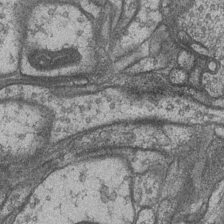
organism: Drosophila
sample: Optic medulla